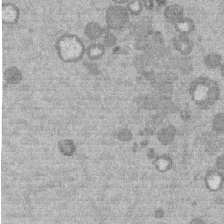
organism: Mouse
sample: Dividing mouse embryo 1 cell stage